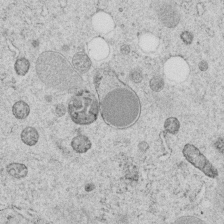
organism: C. elegans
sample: C. elegans embryo early stage